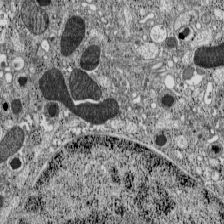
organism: C57BL Mouse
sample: Pancreatic islet